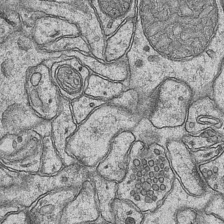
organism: Mouse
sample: CA1 Hippocampus